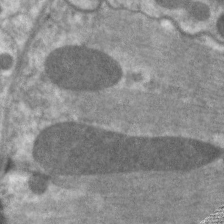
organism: C. elegans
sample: Pharynx